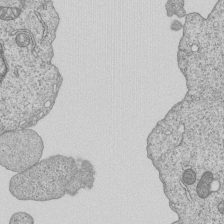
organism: Human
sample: MDA-MB-231 cells